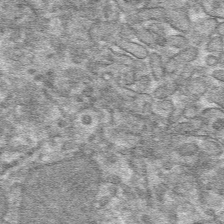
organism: Mouse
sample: Mouse hepatocytes